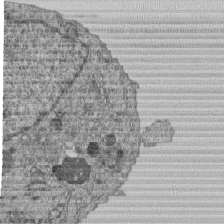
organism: Human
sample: MDA-MB-231 cells